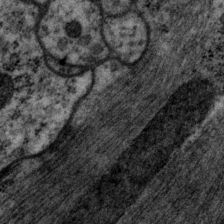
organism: P. pacificus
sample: Pharynx